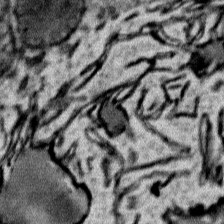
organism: Mouse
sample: Mouse Salivary gland